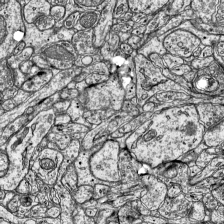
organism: Mouse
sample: Visual Cortex